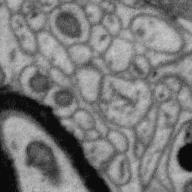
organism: Zebra finch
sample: Brain